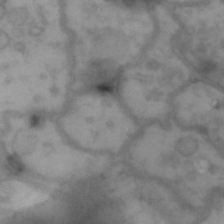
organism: Drosophila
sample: Brain